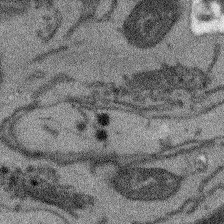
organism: Arabidopsis thaliana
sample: Root tip